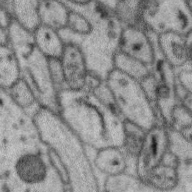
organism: Zebra finch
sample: Brain